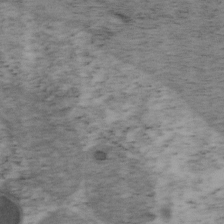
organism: Mouse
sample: OT-I killer T cells with ID8 ovarian cancer cells